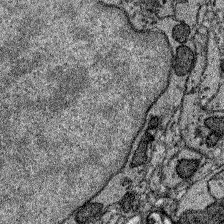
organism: Zebrafish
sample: Larval olfactory bulb